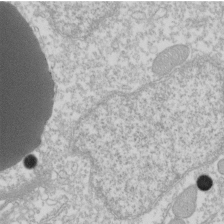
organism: Xenopus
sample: Cilia; centrioles in frog embryo cells